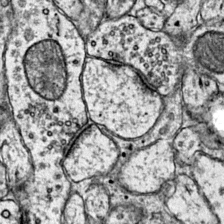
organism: Mouse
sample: Primary visual cortex